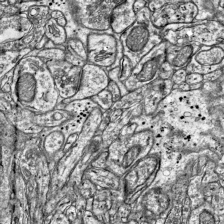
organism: Mouse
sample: Visual Cortex